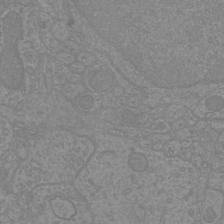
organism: Mouse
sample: Cortical neurons